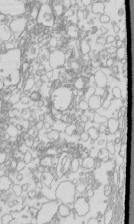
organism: Mouse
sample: Macrophages